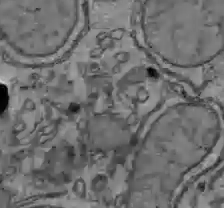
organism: C57BL Mouse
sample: Liver